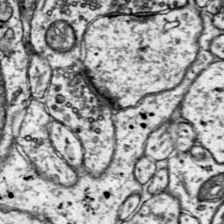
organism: Mouse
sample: Primary visual cortex